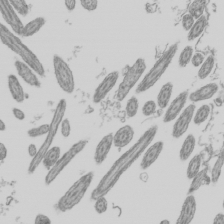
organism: Mouse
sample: Cilia; mouse epididymis